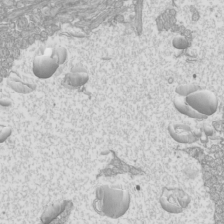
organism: Mouse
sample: Cilia; mouse epididymis